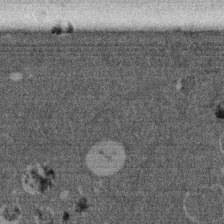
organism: Mouse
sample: Dividing mouse embryo 1 cell stage